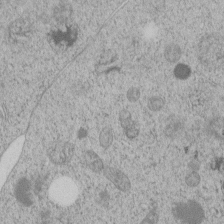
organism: C. elegans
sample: C. elegans embryo early stage